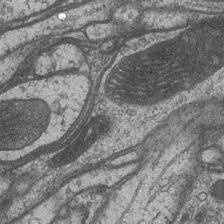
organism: Drosophila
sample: Optic medulla